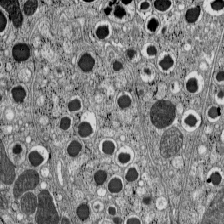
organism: C57BL Mouse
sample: Pancreatic islet